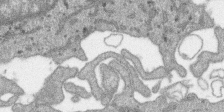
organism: Human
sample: Lung epithelial cells infected with SARS-CoV-2